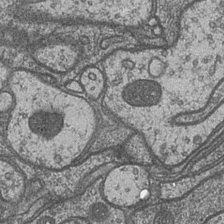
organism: Drosophila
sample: Optic medulla